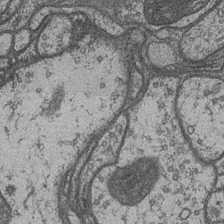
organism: Drosophila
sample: Optic medulla